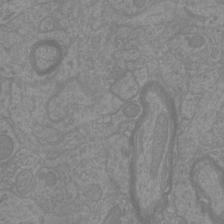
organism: Mouse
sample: Cortical neurons